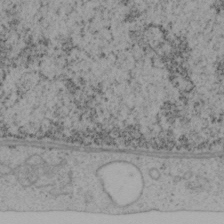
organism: Human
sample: HeLa cells